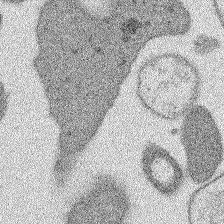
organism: Human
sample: HeLa cells